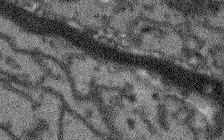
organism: Arabidopsis thaliana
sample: Root tip